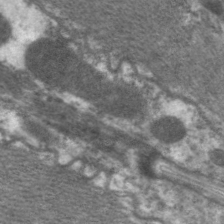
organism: C. elegans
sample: Pharynx